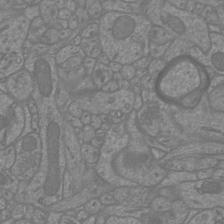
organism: Mouse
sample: Cortical neurons